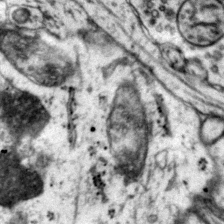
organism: Mouse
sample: Primary visual cortex